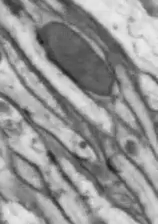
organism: Drosophila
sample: Optic lobe